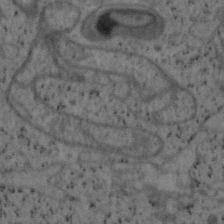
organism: Human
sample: HeLa cells